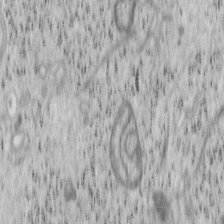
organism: Human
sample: HeLa cells